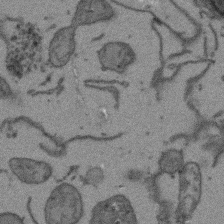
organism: Arabidopsis thaliana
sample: Root tip